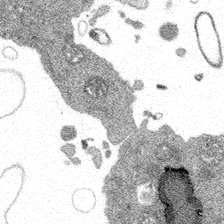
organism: Spongilla lacustris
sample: Multiple